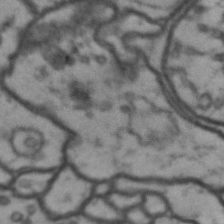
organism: Drosophila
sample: Brain